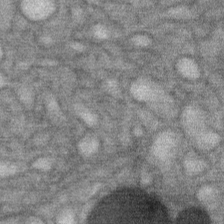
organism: Mouse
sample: Mouse Salivary gland